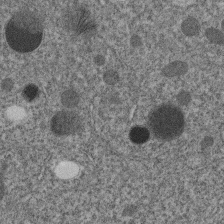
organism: C. elegans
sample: C. elegans embryo early stage